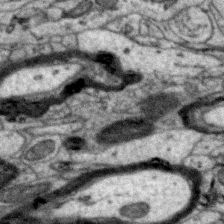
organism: Zebra finch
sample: Brain